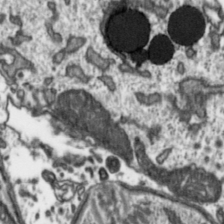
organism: Toxoplasma gondii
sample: Parasites in a vacuole inside a host cell